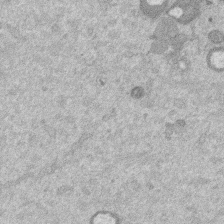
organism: Mouse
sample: Dividing mouse embryo 1 cell stage